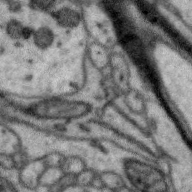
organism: Zebra finch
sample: Brain